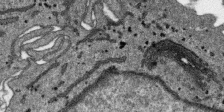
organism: Human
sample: Lung epithelial cells, uninfected (mock) control